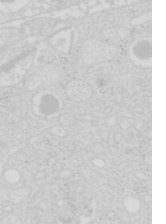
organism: Mouse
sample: Pancreas